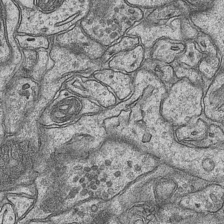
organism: Mouse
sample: CA1 Hippocampus